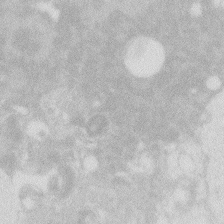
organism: Zebrafish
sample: Macrophage